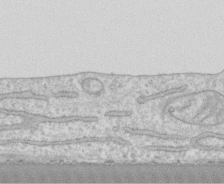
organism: Human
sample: CRL-1474